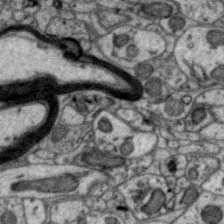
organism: Zebra finch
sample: Brain